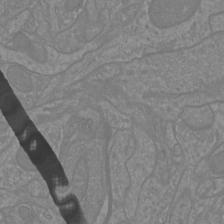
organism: Mouse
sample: Cortical neurons